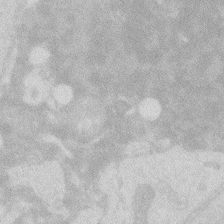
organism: Zebrafish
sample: Macrophage